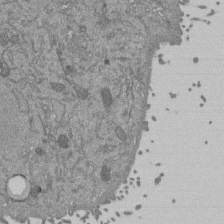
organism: Mouse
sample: ED-1 cell nuclei; centrioles